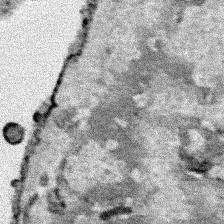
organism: Human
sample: Mitochondria in HCT116 cells